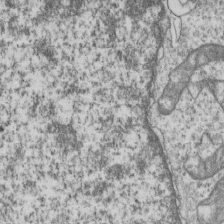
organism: Human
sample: MDA-MB-231 cells